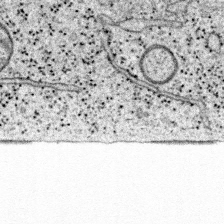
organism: Human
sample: HeLa cells